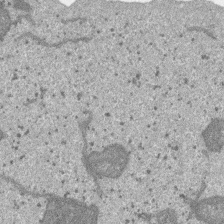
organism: Human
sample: Lung epithelial cells infected with SARS-CoV-2